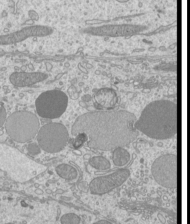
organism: Mouse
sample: Cilia; mouse epididymis